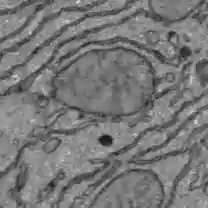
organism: C57BL Mouse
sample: Liver